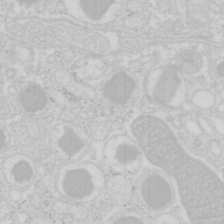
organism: Mouse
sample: Pancreas